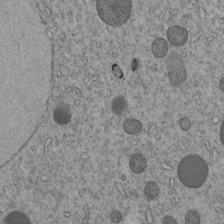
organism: C. elegans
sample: C. elegans embryo early stage